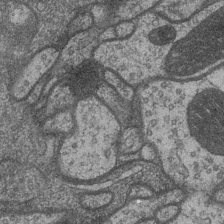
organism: Drosophila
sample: Optic medulla